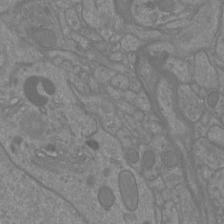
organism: Mouse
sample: Cortical neurons